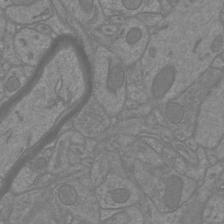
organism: Mouse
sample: Cortical neurons